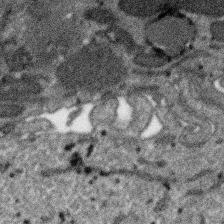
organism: Human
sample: Lung epithelial cells infected with SARS-CoV-2